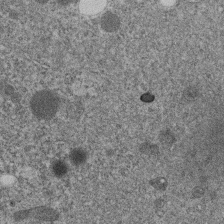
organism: C. elegans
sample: C. elegans embryo early stage